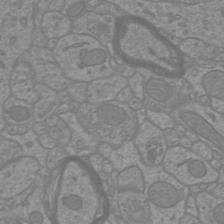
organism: Mouse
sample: Cortical neurons